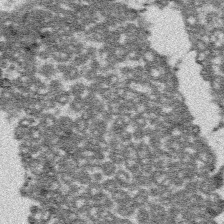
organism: Platynereis dumerilii